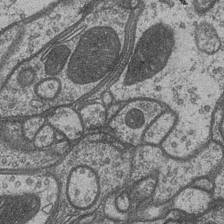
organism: Drosophila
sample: Optic medulla